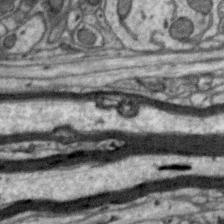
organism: Zebra finch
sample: Brain